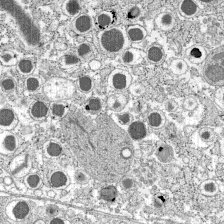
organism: C57BL Mouse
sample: Pancreatic islet